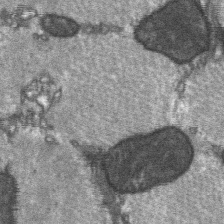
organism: C57BL Mouse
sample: Soleus